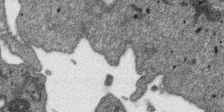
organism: Human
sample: Lung epithelial cells infected with SARS-CoV-2